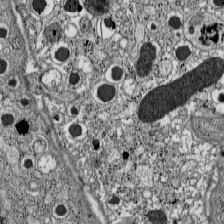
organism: C57BL Mouse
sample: Pancreatic islet